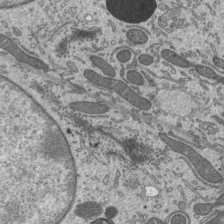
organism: Mouse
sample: Mouse epididymis efferent ductule cilia